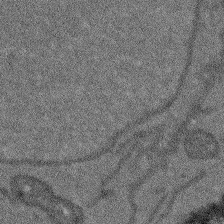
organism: Arabidopsis thaliana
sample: Root tip